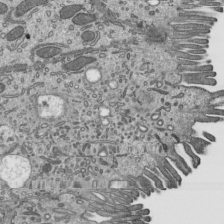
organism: Mouse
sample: Mouse epididymis efferent ductule cilia